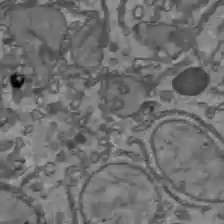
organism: C57BL Mouse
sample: Liver